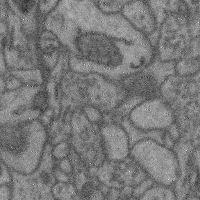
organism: Mouse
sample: Cerebral cortex